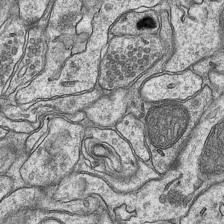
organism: Mouse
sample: CA1 Hippocampus